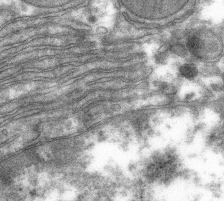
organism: Mouse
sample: Mouse hepatocytes